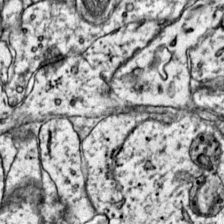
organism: Mouse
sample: Primary visual cortex